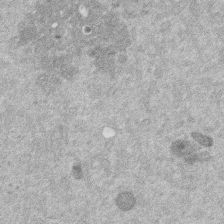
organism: Mouse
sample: Dividing mouse embryo 1 cell stage